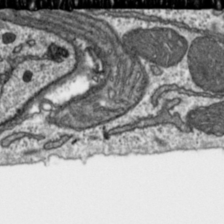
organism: Toxoplasma gondii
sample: Parasites in a vacuole inside a host cell